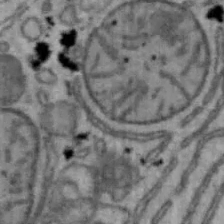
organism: Mouse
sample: Liver